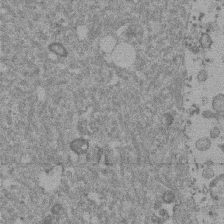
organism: Mouse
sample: Dividing mouse embryo 1 cell stage